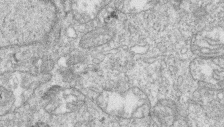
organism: Human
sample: HeLa cell HIV synapse